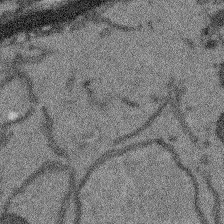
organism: Arabidopsis thaliana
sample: Root tip